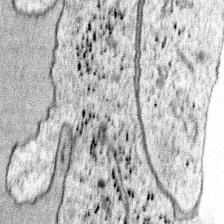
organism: Human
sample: HeLa cells